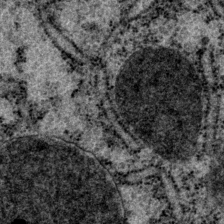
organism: P. pacificus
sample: Pharynx